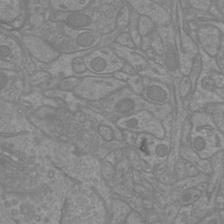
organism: Mouse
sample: Cortical neurons